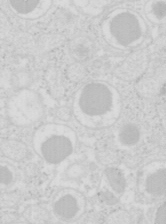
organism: Mouse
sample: Pancreas